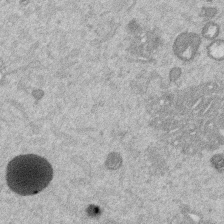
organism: Mouse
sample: Dividing mouse embryo 1 cell stage